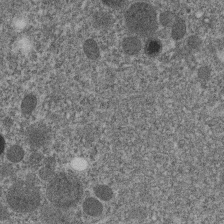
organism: C. elegans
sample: C. elegans embryo early stage